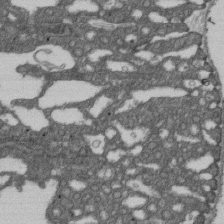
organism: Drosophila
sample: Nephrocyte